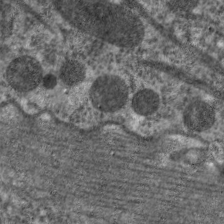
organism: C. elegans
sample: Pharynx